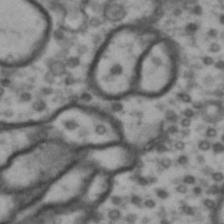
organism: Drosophila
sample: Brain